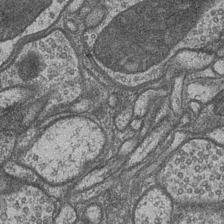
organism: Drosophila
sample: Optic medulla